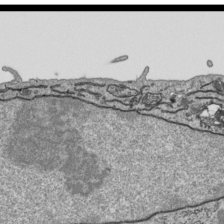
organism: Human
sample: Mitochondria in HCT116 cells